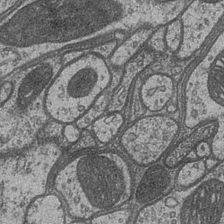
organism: Drosophila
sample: Optic medulla